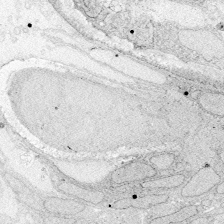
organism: Zebrafish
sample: Whole-Brain